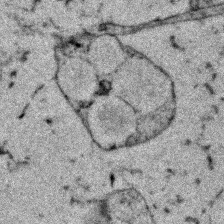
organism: Zebrafish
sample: Zebrafish embryo